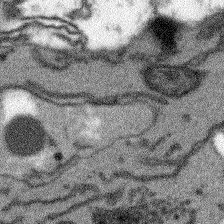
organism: Arabidopsis thaliana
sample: Root tip